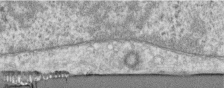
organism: Human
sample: Centriole in RPE cells